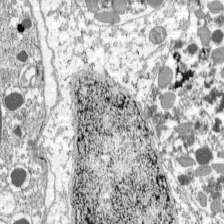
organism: C57BL Mouse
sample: Pancreatic islet